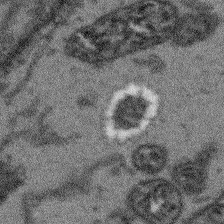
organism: Arabidopsis thaliana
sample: Root tip